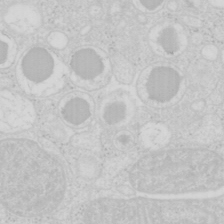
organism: Mouse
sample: Pancreas